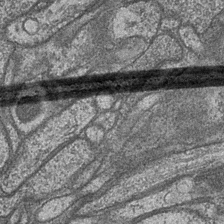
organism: Drosophila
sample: Optic medulla